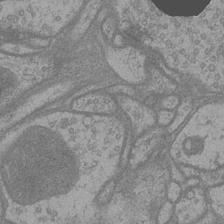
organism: Drosophila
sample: Optic medulla